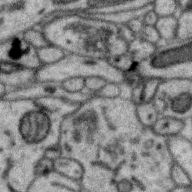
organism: Zebra finch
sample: Brain